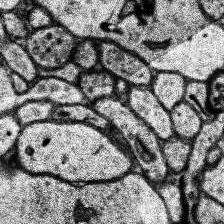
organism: Human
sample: Temporal Lobe